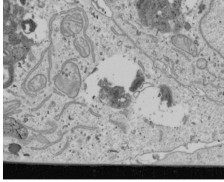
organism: Human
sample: Mitochondria in U2OS cells